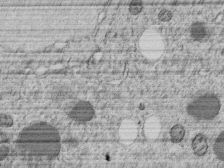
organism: C. elegans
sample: C. elegans embryo early stage